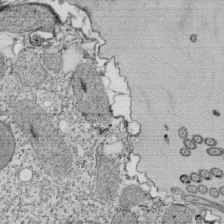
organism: Tetrahymena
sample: Cilia in tetrahymena